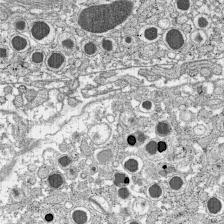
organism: C57BL Mouse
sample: Pancreatic islet